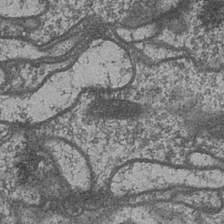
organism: Drosophila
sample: Optic medulla